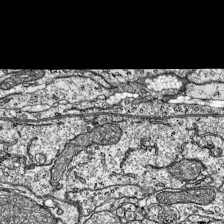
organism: Mouse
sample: Visual Cortex